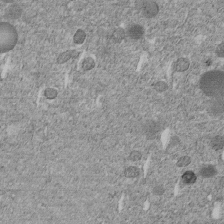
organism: C. elegans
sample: C. elegans embryo early stage